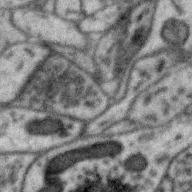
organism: Zebra finch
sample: Brain